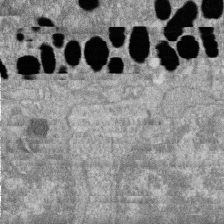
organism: Zebrafish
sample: Cilia; retinal pigment epithelium